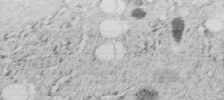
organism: C. elegans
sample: C. elegans embryo early stage